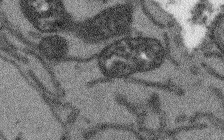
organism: Arabidopsis thaliana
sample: Root tip